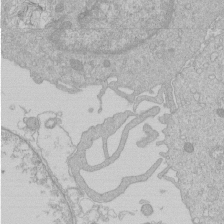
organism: Human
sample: Macrophage cells